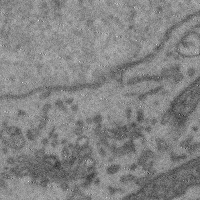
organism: Mouse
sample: Cerebral cortex